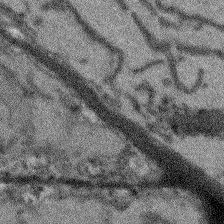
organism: Arabidopsis thaliana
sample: Root tip